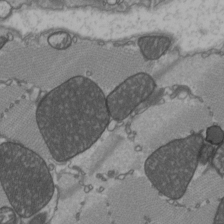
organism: C57BL Mouse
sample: Heart